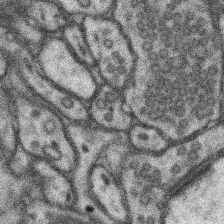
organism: Mouse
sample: Somatosensory cortex neuropil